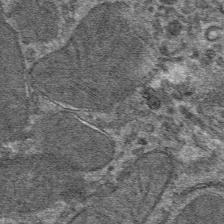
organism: Mouse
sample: Mouse hepatocytes